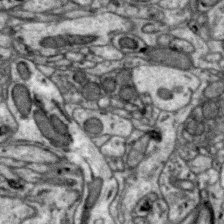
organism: Zebra finch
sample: Brain